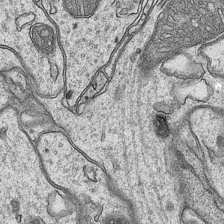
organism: Mouse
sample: CA1 Hippocampus